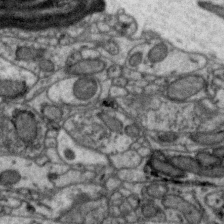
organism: Zebra finch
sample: Brain